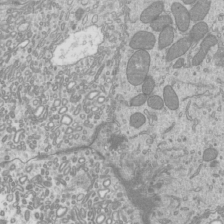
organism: Mouse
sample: Cilia; mouse epididymis